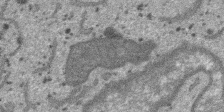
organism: Human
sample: Lung epithelial cells infected with SARS-CoV-2